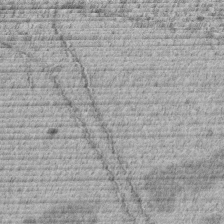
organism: C. elegans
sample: C. elegans embryo early stage